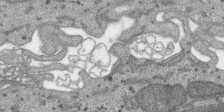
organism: Human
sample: Lung epithelial cells infected with SARS-CoV-2